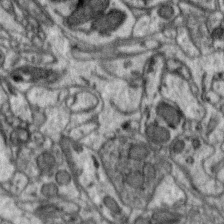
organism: Zebra finch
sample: Brain